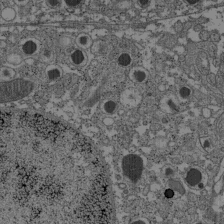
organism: C57BL Mouse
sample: Pancreatic islet